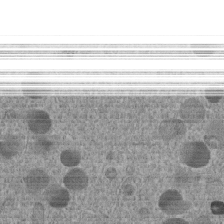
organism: C. elegans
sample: C. elegans embryo early stage